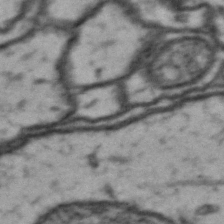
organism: Drosophila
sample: Brain